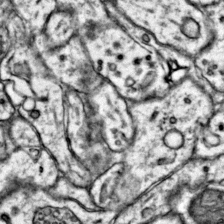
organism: Mouse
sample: Primary visual cortex